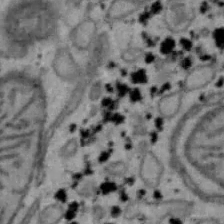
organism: Mouse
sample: Liver